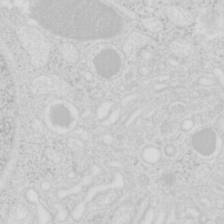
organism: Mouse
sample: Pancreas